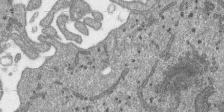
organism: Human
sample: Lung epithelial cells infected with SARS-CoV-2